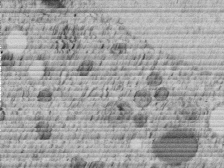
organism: C. elegans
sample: C. elegans embryo early stage